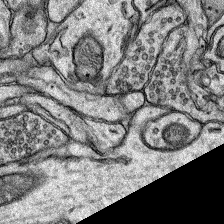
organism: Rat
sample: Hippocampus